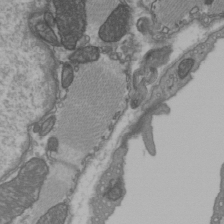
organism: C57BL Mouse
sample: Heart